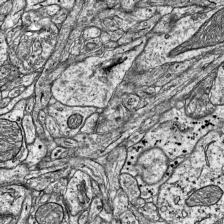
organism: Mouse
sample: Visual Cortex